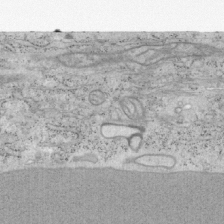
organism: Human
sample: HeLa cells